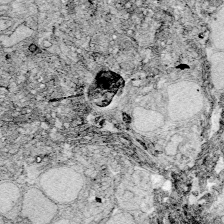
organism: Zebrafish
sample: Whole-Brain